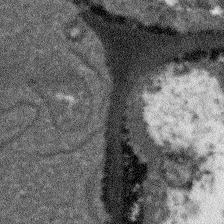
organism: Arabidopsis thaliana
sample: Root tip